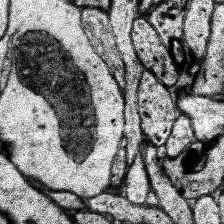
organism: Human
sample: Temporal Lobe